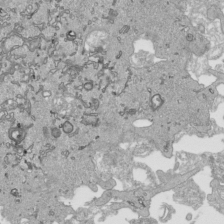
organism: Human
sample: Mitochondria in HCT116 cells